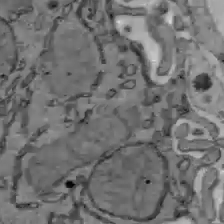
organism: C57BL Mouse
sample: Liver